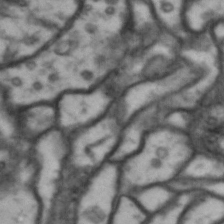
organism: Drosophila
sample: Brain